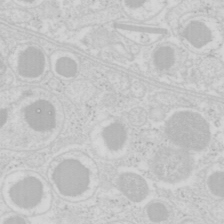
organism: Mouse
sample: Pancreas